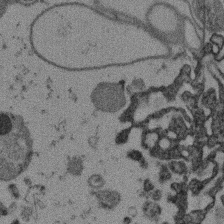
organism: Mouse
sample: Dividing mouse embryo 1 cell stage